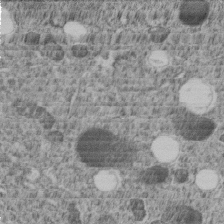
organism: C. elegans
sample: C. elegans embryo early stage